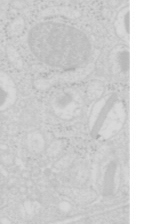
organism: Mouse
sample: Pancreas